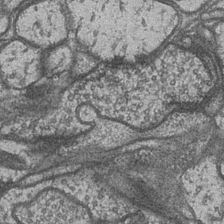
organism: Drosophila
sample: Optic medulla